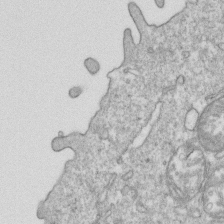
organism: Mouse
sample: Activated OT-1 CD8+ T cells